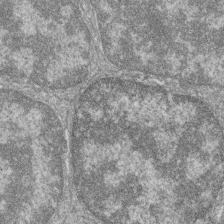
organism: Zebrafish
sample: Cilia; retinal pigment epithelium